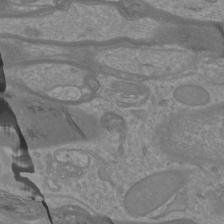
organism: Mouse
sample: Cortical neurons